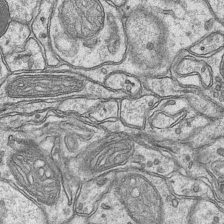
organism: Mouse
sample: CA1 Hippocampus